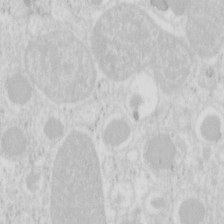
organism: Mouse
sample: Pancreas